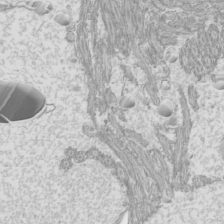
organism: Mouse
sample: Cilia; mouse epididymis